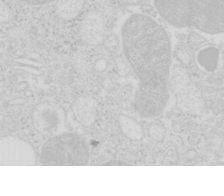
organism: Mouse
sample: Pancreas